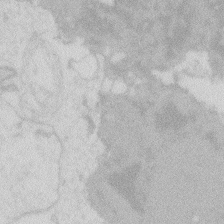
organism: Zebrafish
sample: Macrophage